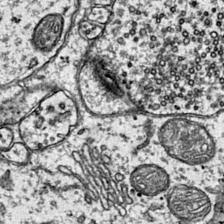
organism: Mouse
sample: Primary visual cortex